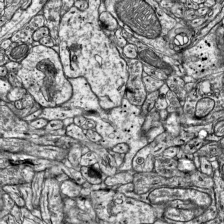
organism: Mouse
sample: Visual Cortex